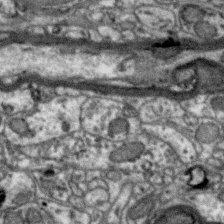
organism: Zebra finch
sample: Brain